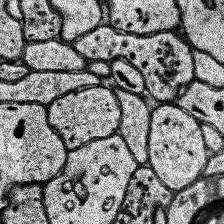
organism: Human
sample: Temporal Lobe